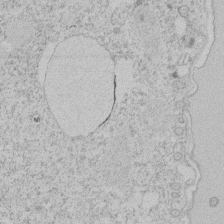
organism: Tetrahymena